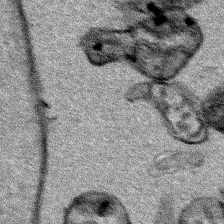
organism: Human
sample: Mitochondria in HCT116 cells